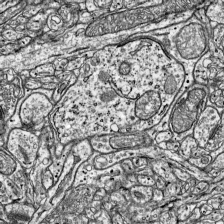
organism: Mouse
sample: Visual Cortex